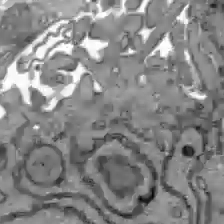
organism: C57BL Mouse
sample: Liver